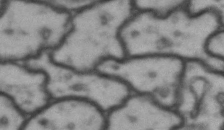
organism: Drosophila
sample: Brain